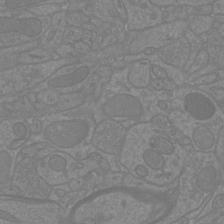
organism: Mouse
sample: Cortical neurons